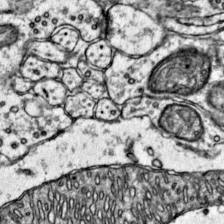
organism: Mouse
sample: Primary visual cortex